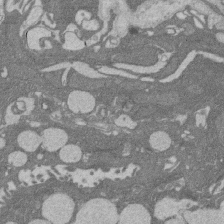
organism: Rat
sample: Salivary granule